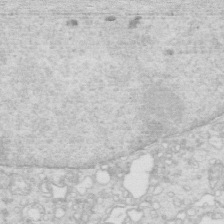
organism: Mouse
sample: Multiciliated cells